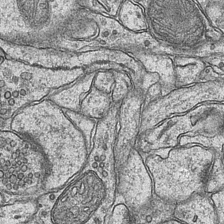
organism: Mouse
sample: CA1 Hippocampus